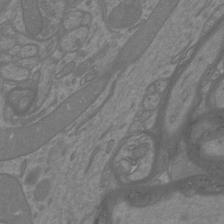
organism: Mouse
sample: Cortical neurons